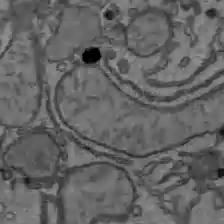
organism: C57BL Mouse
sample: Liver